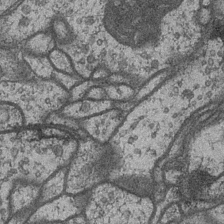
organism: Drosophila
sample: Optic medulla